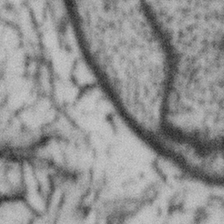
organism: Gemmata obscuriglobus